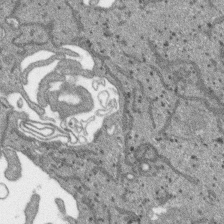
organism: Human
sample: Lung epithelial cells infected with SARS-CoV-2